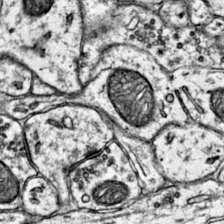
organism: Mouse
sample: Primary visual cortex